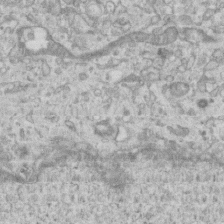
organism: Mouse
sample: Centriole in ependymal cells